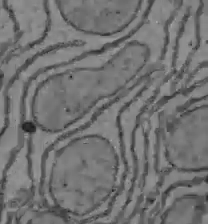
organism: C57BL Mouse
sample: Liver